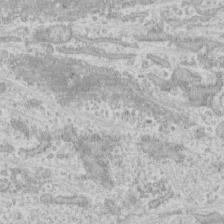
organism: Human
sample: CRL-1474